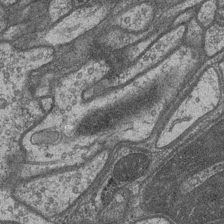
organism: Drosophila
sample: Optic medulla